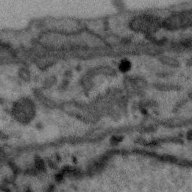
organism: Zebra finch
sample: Brain